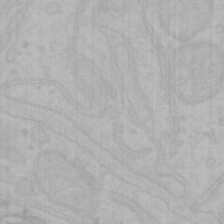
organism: Mouse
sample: Choroid plexus